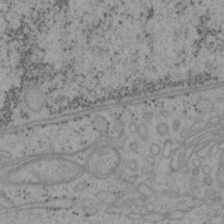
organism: Human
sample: HeLa cells